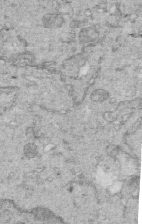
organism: Mouse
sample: Multiciliated cells